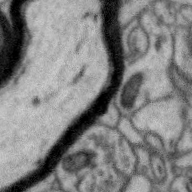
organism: Zebra finch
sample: Brain